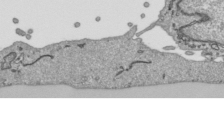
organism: Human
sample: Mitochondria in HCT116 cells